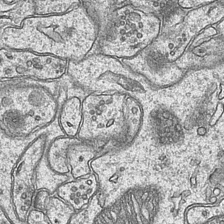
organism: Mouse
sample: CA1 Hippocampus